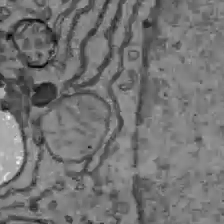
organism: C57BL Mouse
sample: Liver